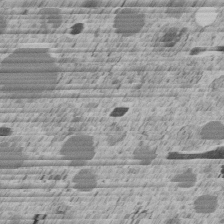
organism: C. elegans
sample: C. elegans embryo early stage